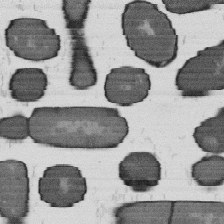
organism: B. subtilis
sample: Bacterial spore